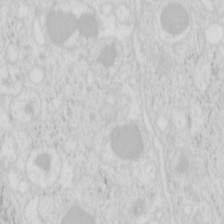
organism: Mouse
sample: Pancreas